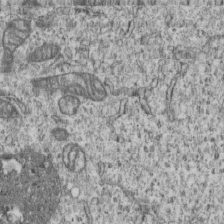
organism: Human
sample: MDA-MB-231 cells